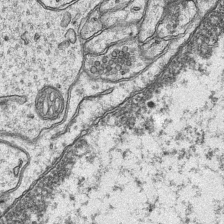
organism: Mouse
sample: CA1 Hippocampus